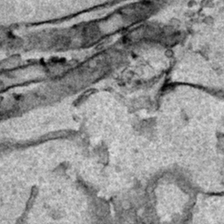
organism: Human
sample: Mitochondria in HCT116 cells